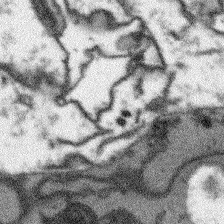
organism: Arabidopsis thaliana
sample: Root tip